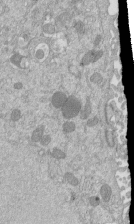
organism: Mouse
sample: ED-1 cell nuclei; centrioles